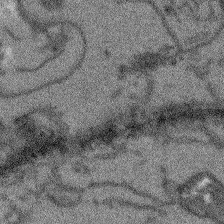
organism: Arabidopsis thaliana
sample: Root tip